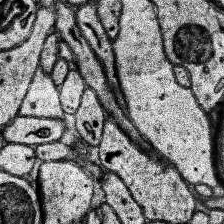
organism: Human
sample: Temporal Lobe